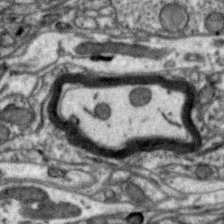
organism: Zebra finch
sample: Brain